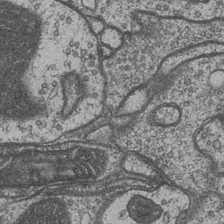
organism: Drosophila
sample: Optic medulla